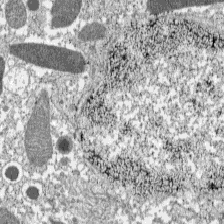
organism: C57BL Mouse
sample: Pancreatic islet